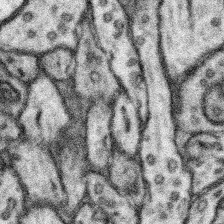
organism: Mouse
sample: Somatosensory cortex neuropil